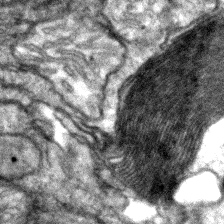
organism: Zebrafish